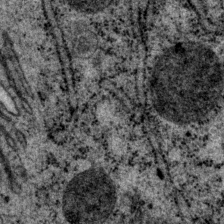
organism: P. pacificus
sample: Pharynx